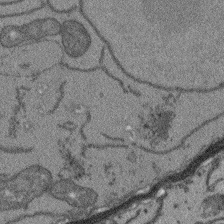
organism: Arabidopsis thaliana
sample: Root tip